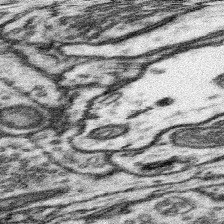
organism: Mouse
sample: Somatosensory cortex neuropil